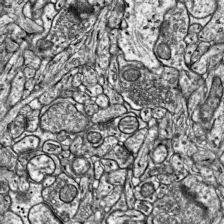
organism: Mouse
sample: Visual Cortex